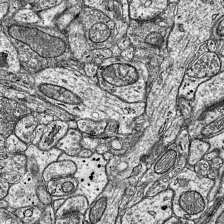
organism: Mouse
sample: Visual Cortex